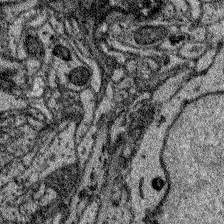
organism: Zebrafish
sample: Larval olfactory bulb